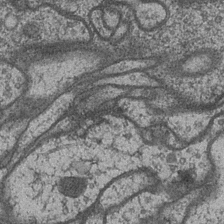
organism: Drosophila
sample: Optic medulla